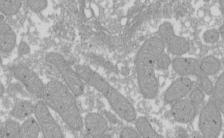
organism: Xenopus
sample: Cilia; centrioles in frog embryo cells